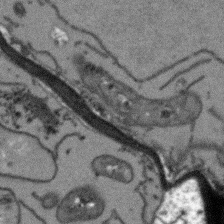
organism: Arabidopsis thaliana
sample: Root tip